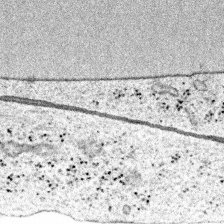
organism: Human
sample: HeLa cells